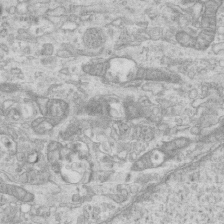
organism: Mouse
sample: Centriole in ependymal cells